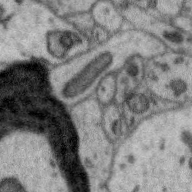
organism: Zebra finch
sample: Brain